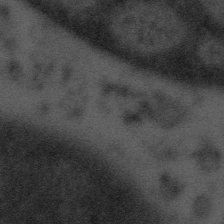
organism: Tuwongella immobilis